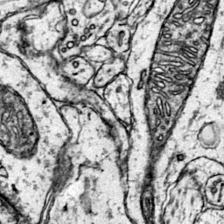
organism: Mouse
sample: Primary visual cortex